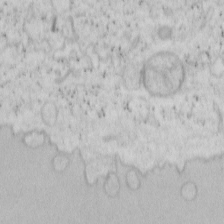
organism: Human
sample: HeLa cells